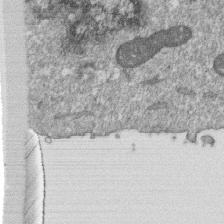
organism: African green monkey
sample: Vero E6 cells infected with SARS-CoV-2